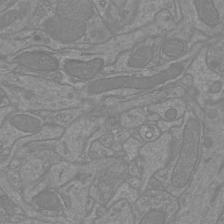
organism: Mouse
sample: Cortical neurons